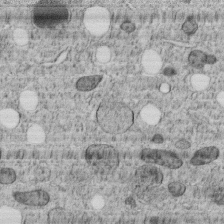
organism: C. elegans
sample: C. elegans embryo early stage